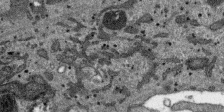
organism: Human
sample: Lung epithelial cells, uninfected (mock) control